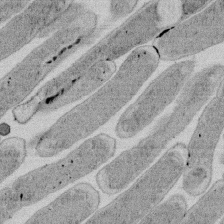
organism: E. coli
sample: Bacterial nucleoid